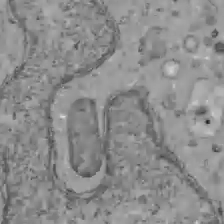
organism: C57BL Mouse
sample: Liver